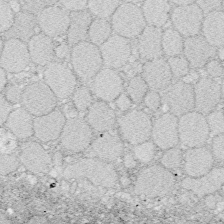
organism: Zebrafish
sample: Whole-Brain